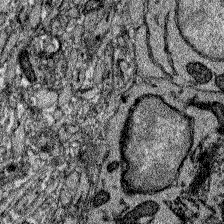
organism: Zebrafish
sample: Larval olfactory bulb